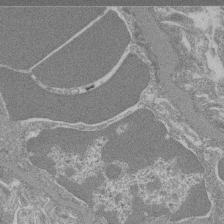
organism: Mouse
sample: Glomerulus